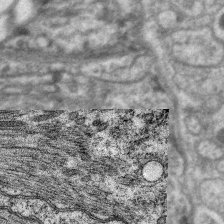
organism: C. elegans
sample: Pharynx